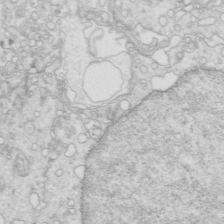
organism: Mouse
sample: Multiciliated cells